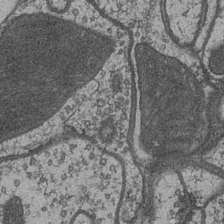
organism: Drosophila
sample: Optic medulla